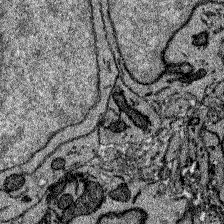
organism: Zebrafish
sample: Larval olfactory bulb